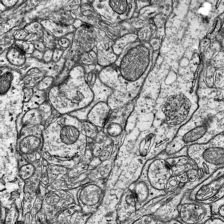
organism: Mouse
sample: Visual Cortex